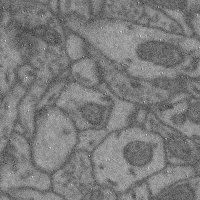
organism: Mouse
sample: Cerebral cortex